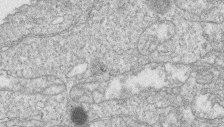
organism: Human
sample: HeLa cell HIV synapse